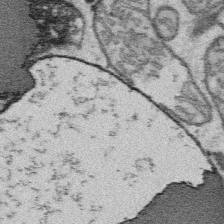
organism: Platynereis dumerilii